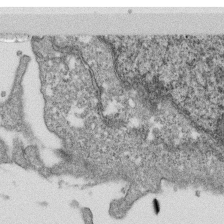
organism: African green monkey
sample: Vero E6 cells infected with SARS-CoV-2